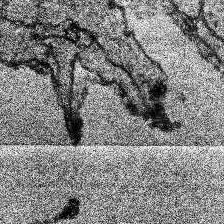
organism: Human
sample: Temporal Lobe